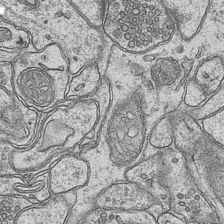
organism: Mouse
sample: CA1 Hippocampus